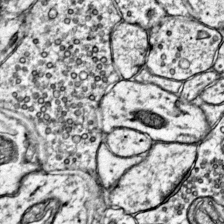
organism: Mouse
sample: Primary visual cortex